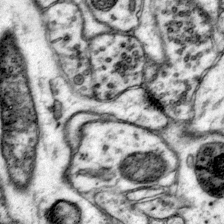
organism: Mouse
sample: Primary visual cortex